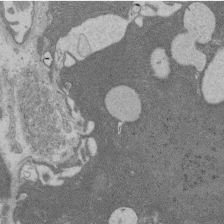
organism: Rat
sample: Salivary granule